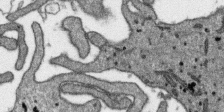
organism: Human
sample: Lung epithelial cells, uninfected (mock) control